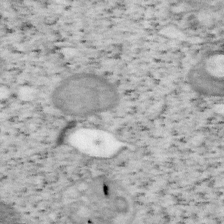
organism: Mouse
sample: OT-I killer T cells with ID8 ovarian cancer cells